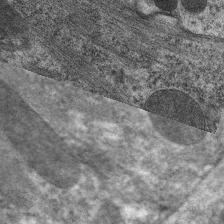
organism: C. elegans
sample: Pharynx